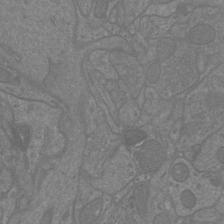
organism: Mouse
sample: Cortical neurons